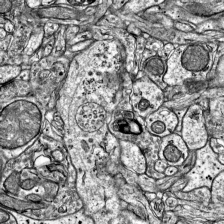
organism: Mouse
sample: Visual Cortex